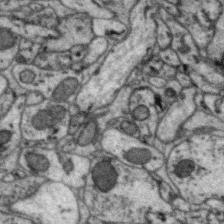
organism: Zebra finch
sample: Brain